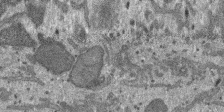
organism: Human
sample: Lung epithelial cells infected with SARS-CoV-2